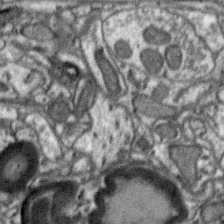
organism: Zebra finch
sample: Brain